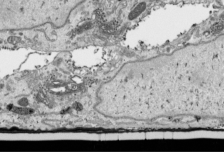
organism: Human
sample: Mitochondria in HCT116 cells